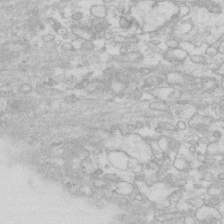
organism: Human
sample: Fibroblast cells